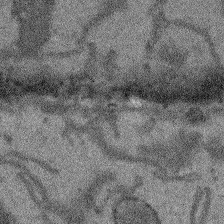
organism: Arabidopsis thaliana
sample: Root tip